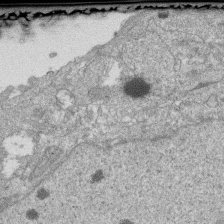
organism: Human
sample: HeLa cell HIV synapse